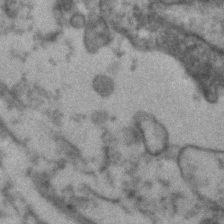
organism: Human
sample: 1205lu cells